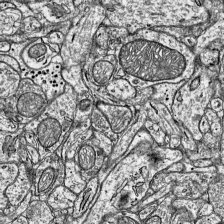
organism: Mouse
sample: Visual Cortex